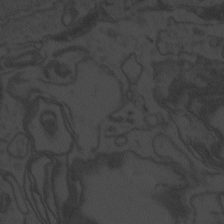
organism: Zebrafish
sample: Macrophage infected with Toxoplasma gondii